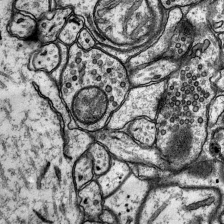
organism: Rat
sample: Hippocampus